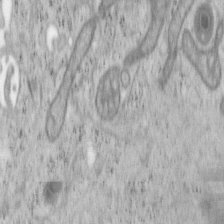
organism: Human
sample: HeLa cells